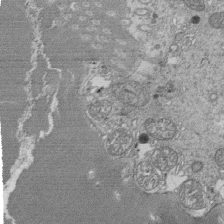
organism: Tetrahymena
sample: Cilia in tetrahymena